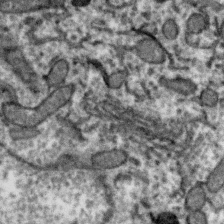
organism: Zebra finch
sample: Brain